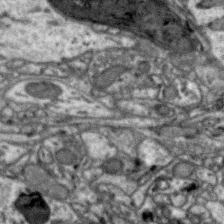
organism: Zebra finch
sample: Brain